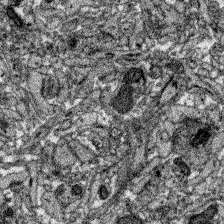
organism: Zebrafish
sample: Larval olfactory bulb